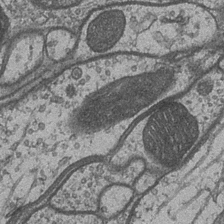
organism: Drosophila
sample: Optic medulla